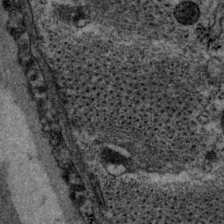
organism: P. pacificus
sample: Pharynx